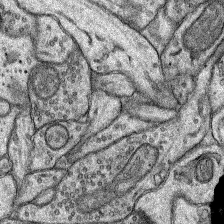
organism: Rat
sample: Hippocampus